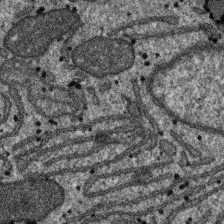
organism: Human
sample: Lung epithelial cells infected with SARS-CoV-2